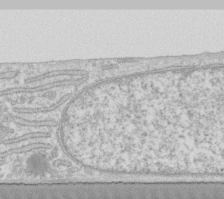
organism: Human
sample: Fibroblast cells